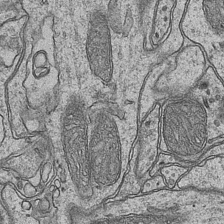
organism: Mouse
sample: CA1 Hippocampus